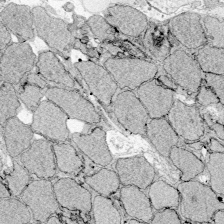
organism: Zebrafish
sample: Whole-Brain